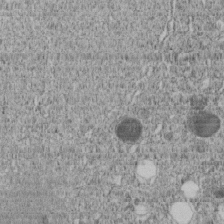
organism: C. elegans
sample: C. elegans embryo early stage